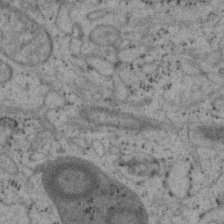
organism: Human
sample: HeLa cells